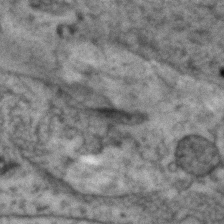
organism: Human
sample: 1205lu cells